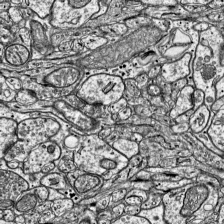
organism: Mouse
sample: Visual Cortex